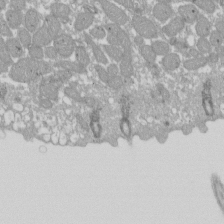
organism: Xenopus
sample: Cilia; centrioles in frog embryo cells